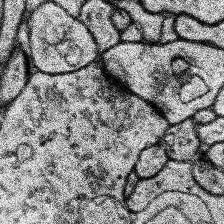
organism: Human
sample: Temporal Lobe